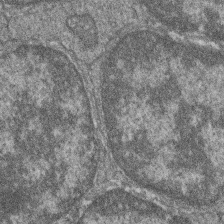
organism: Zebrafish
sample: Cilia; retinal pigment epithelium